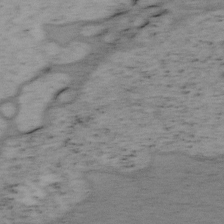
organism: Mouse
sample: OT-I killer T cells with ID8 ovarian cancer cells